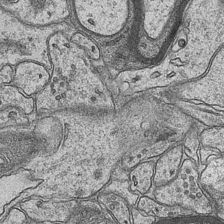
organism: Mouse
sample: CA1 Hippocampus